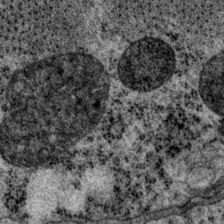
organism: P. pacificus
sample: Pharynx